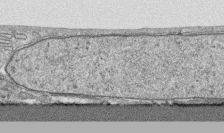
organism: Human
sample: CRL-1474